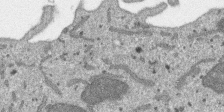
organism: Human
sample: Lung epithelial cells infected with SARS-CoV-2